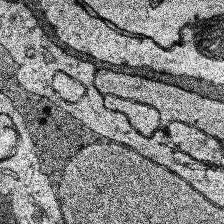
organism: Human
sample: Temporal Lobe